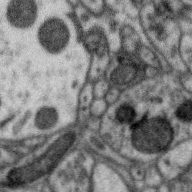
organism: Zebra finch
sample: Brain